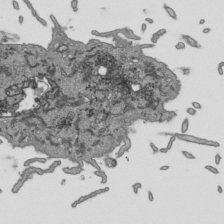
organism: Human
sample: Mitochondria in HCT116 cells